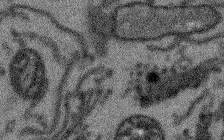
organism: Arabidopsis thaliana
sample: Root tip